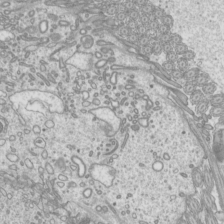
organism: Mouse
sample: Cilia; mouse epididymis